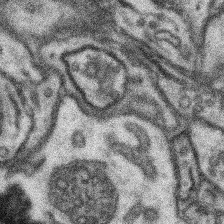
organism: Mouse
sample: Somatosensory cortex neuropil